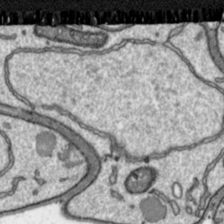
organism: Toxoplasma gondii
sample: Parasites in a vacuole inside a host cell